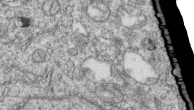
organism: Human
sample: HeLa cell HIV synapse